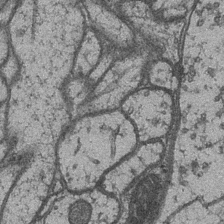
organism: Drosophila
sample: Optic medulla